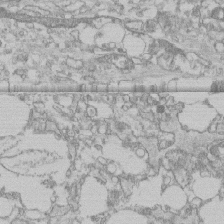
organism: Human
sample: CRL-1474